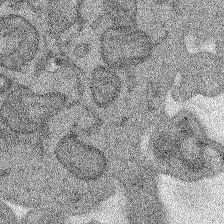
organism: Human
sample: HeLa cells